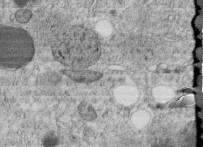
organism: C. elegans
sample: C. elegans embryo early stage